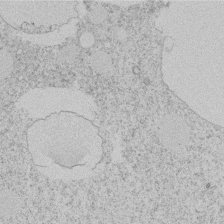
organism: Tetrahymena